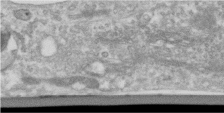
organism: Human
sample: Centriole in RPE cells